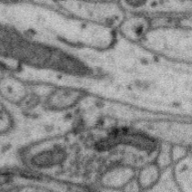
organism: Zebra finch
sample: Brain